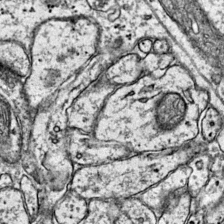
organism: Mouse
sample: Primary visual cortex